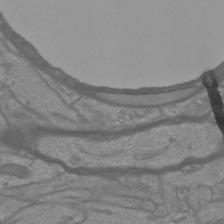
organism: Mouse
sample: Cortical neurons